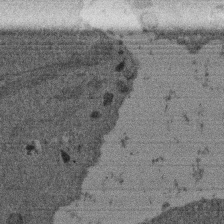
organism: Mouse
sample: Dividing mouse embryo 1 cell stage